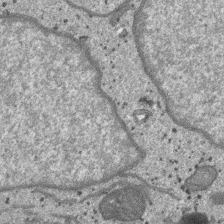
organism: Human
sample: Lung epithelial cells infected with SARS-CoV-2